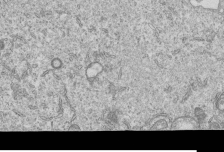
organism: Human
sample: MDA-MB-231 cells